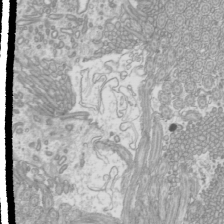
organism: Mouse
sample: Cilia; mouse epididymis